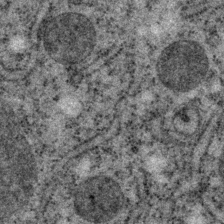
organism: P. pacificus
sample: Pharynx